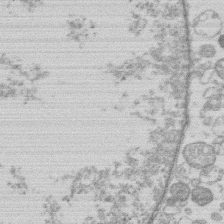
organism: Human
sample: Macrophage cells